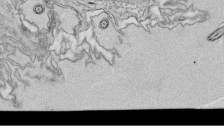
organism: Tetrahymena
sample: Cilia in tetrahymena